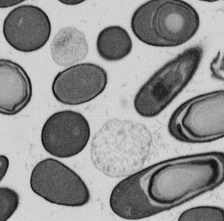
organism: B. subtilis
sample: Bacterial spore